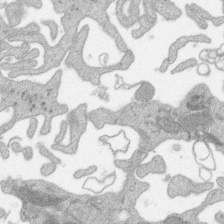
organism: Human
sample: Lung epithelial cells infected with SARS-CoV-2